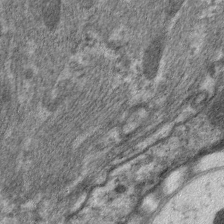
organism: C. elegans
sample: Pharynx